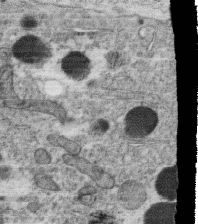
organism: C. elegans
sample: C. elegans oocyte; sperm cells